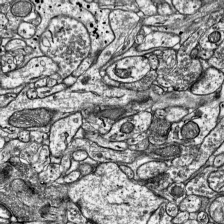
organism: Mouse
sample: Visual Cortex